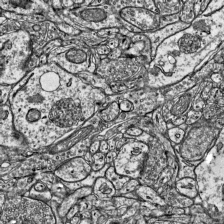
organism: Mouse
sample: Visual Cortex